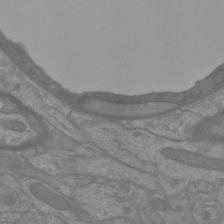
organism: Mouse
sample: Cortical neurons